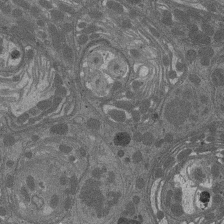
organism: Drosophila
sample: Antenna